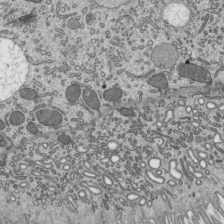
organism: Mouse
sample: Mouse epididymis efferent ductule cilia